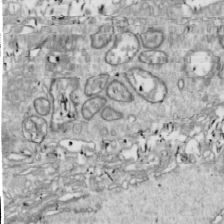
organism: Drosophila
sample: Cell division; meiosis; drosophila spermatocytes